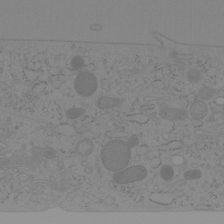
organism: Human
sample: HeLa cells